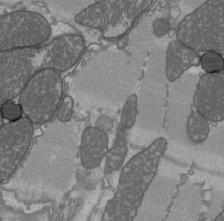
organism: C57BL Mouse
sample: Heart